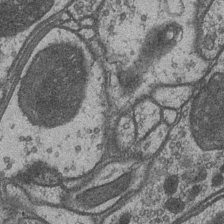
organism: Drosophila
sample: Optic medulla